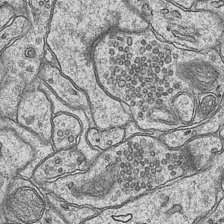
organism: Mouse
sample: CA1 Hippocampus